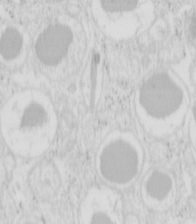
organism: Mouse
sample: Pancreas